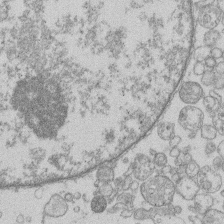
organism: Human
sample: Macrophage cells